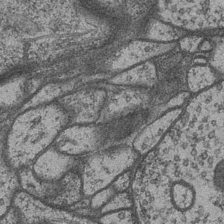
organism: Drosophila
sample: Optic medulla